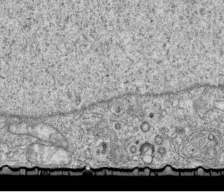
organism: Human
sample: HeLa cell HIV synapse